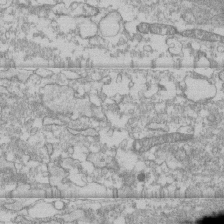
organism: Human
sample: CRL-1474